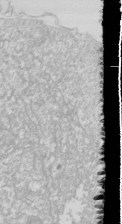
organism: Drosophila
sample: Cell division; meiosis; drosophila spermatocytes